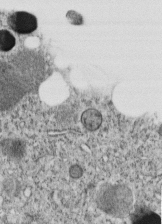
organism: C. elegans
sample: C. elegans embryo early stage